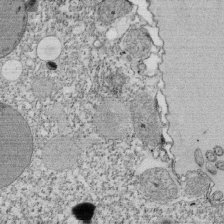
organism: Tetrahymena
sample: Cilia in tetrahymena